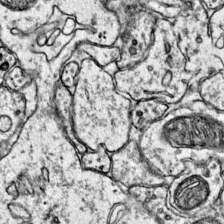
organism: Mouse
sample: Primary visual cortex